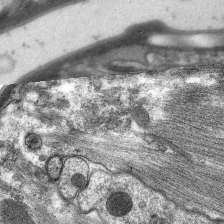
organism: C. elegans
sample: Pharynx